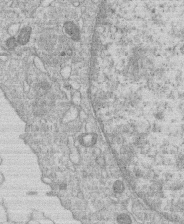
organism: Human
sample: Macrophage cells